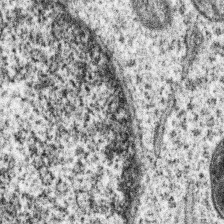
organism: Human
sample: HeLa cells